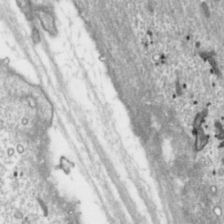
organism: Toxoplasma gondii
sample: Parasites in a vacuole inside a host cell